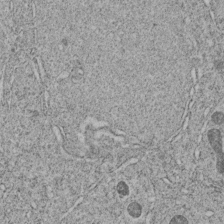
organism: C. elegans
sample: C. elegans embryo early stage